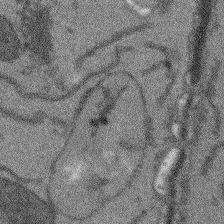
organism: Arabidopsis thaliana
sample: Root tip